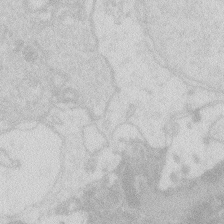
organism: Zebrafish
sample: Macrophage